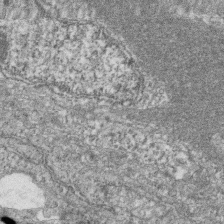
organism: Zebrafish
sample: Cilia; retinal pigment epithelium